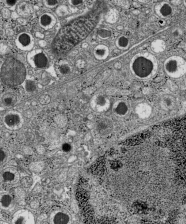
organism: C57BL Mouse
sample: Pancreatic islet